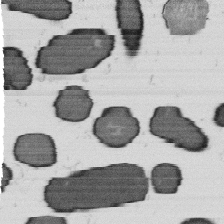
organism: B. subtilis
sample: Bacterial spore